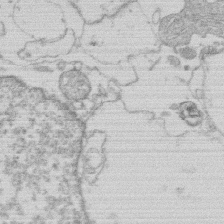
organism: Human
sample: Macrophage cells